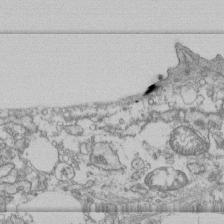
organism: Human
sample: Fibroblast cells